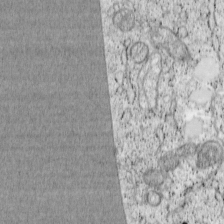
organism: African green monkey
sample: COS-7 cells